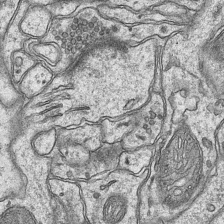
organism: Mouse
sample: CA1 Hippocampus